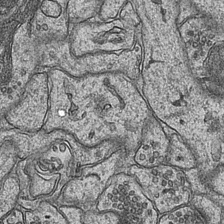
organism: Mouse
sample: CA1 Hippocampus